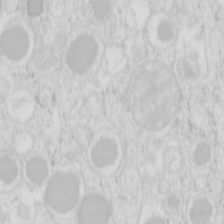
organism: Mouse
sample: Pancreas